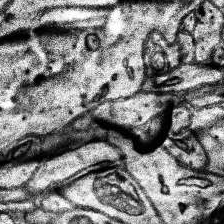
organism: Human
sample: Temporal Lobe